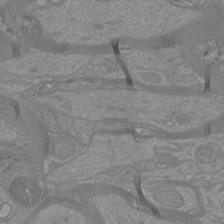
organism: Mouse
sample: Cortical neurons